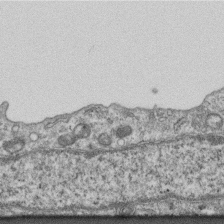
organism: Mouse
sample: Centriole in ependymal cells